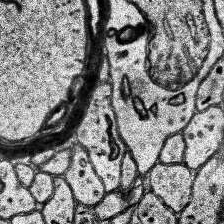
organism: Human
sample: Temporal Lobe